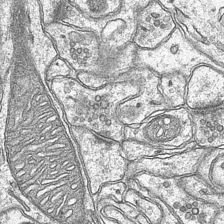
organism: Mouse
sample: CA1 Hippocampus